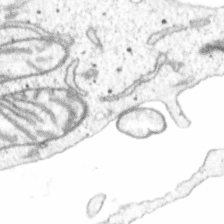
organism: Human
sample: HeLa cells